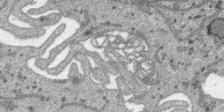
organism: Human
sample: Lung epithelial cells infected with SARS-CoV-2